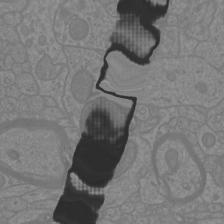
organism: Mouse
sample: Cortical neurons